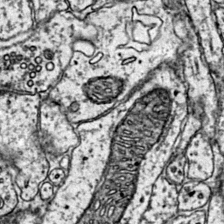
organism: Mouse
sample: Primary visual cortex